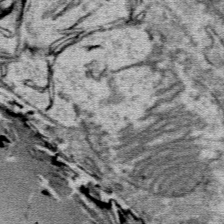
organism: Mouse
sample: Mouse Salivary gland